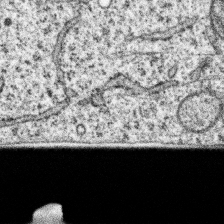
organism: Human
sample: HeLa cells